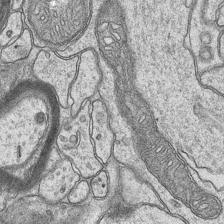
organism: Mouse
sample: CA1 Hippocampus